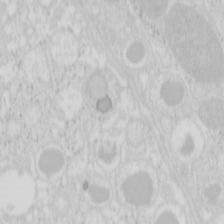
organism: Mouse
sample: Pancreas